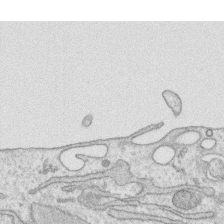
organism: Human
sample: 1205lu cells